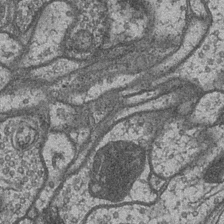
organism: Drosophila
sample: Optic medulla